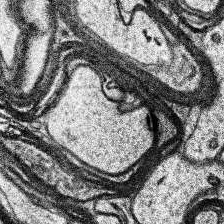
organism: Human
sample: Temporal Lobe